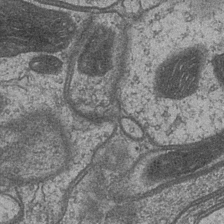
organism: Drosophila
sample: Optic medulla